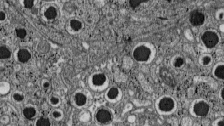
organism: C57BL Mouse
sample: Pancreatic islet